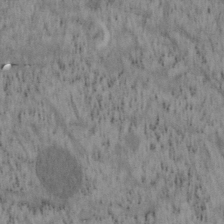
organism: Mouse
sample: OT-I killer T cells with ID8 ovarian cancer cells